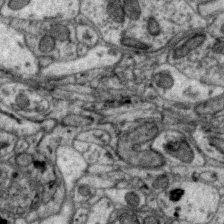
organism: Zebra finch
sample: Brain